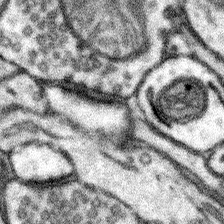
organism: Mouse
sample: Somatosensory cortex neuropil